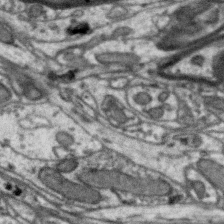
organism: Zebra finch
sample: Brain